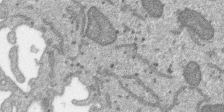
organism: Human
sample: Lung epithelial cells infected with SARS-CoV-2